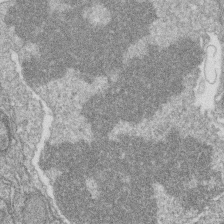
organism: Zebrafish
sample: Cilia; retinal pigment epithelium